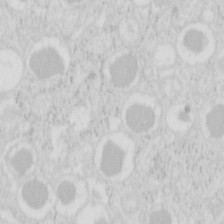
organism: Mouse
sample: Pancreas